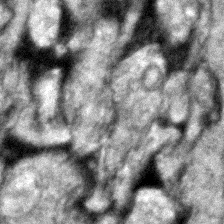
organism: Zebrafish